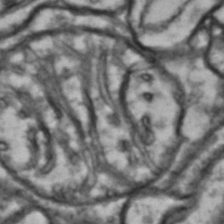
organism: Drosophila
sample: Brain